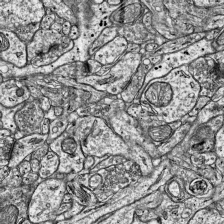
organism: Mouse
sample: Visual Cortex